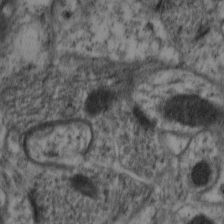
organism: Mouse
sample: Neocortex